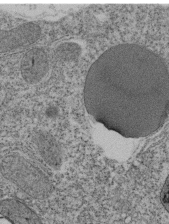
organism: Tetrahymena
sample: Cilia in tetrahymena